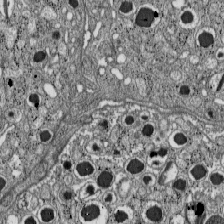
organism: C57BL Mouse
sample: Pancreatic islet